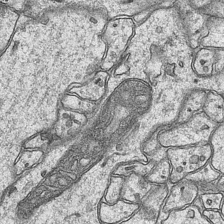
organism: Mouse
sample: CA1 Hippocampus